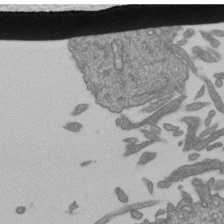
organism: Human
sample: Retinal organoid Rod and Cone cells